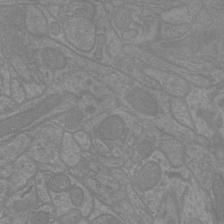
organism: Mouse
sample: Cortical neurons